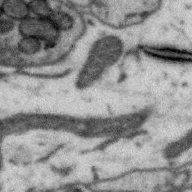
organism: Zebra finch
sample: Brain